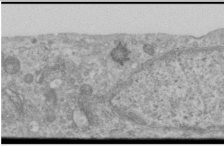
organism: Human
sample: Cilia; basal body in RPE cells